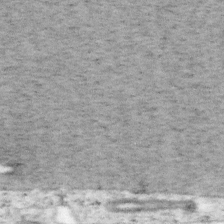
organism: Mouse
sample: OT-I killer T cells with ID8 ovarian cancer cells